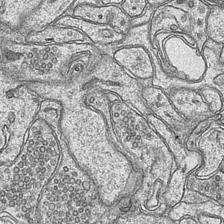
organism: Mouse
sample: CA1 Hippocampus